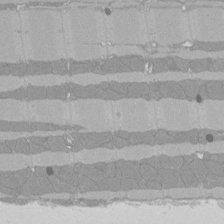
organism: Rat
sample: Left ventricle